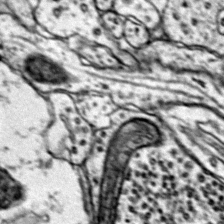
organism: Mouse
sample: Primary visual cortex